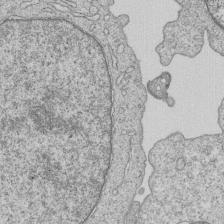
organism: Human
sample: MDA-MB-231 cells